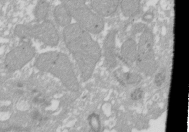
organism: Xenopus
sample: Cilia; centrioles in frog embryo cells